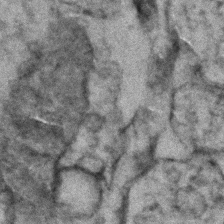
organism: Zebrafish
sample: Zebrafish embryo